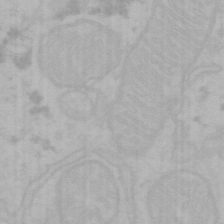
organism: Mouse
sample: Choroid plexus